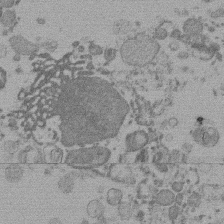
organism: Mouse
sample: Dividing mouse embryo 1 cell stage